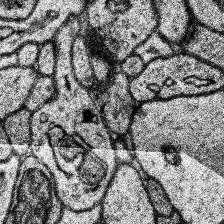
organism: Human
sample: Temporal Lobe